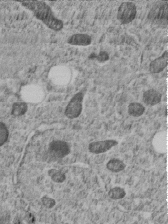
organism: C. elegans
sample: C. elegans embryo early stage